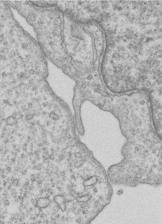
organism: Human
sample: MDA-MB-231 cells